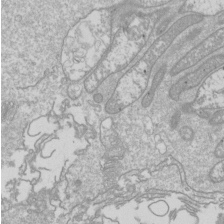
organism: Drosophila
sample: Cell division; meiosis; drosophila spermatocytes